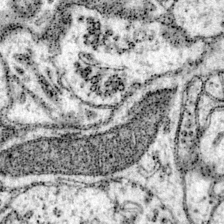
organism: Mouse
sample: Primary visual cortex